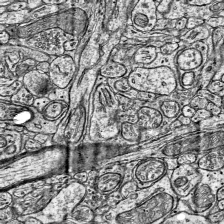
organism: Mouse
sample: Visual Cortex